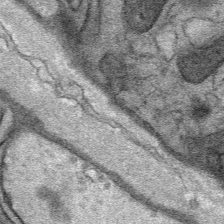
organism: Mouse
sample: Mouse Salivary gland